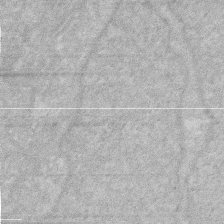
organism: Human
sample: HIV infected U937 cells